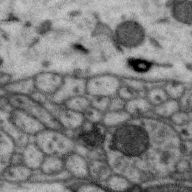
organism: Zebra finch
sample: Brain